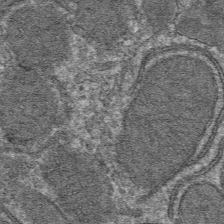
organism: Mouse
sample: Mouse hepatocytes